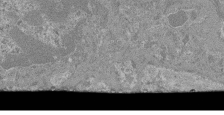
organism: Mouse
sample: Glomerulus